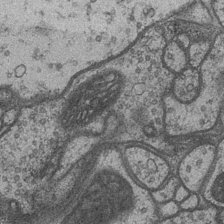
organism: Drosophila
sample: Optic medulla